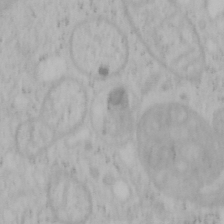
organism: Mouse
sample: OT-I killer T cells with ID8 ovarian cancer cells